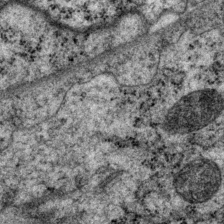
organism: P. pacificus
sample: Pharynx